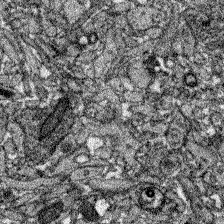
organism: Zebrafish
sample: Larval olfactory bulb